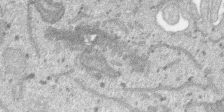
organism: Human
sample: Lung epithelial cells infected with SARS-CoV-2